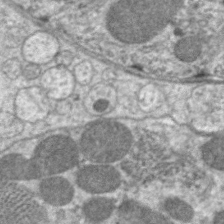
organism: C. elegans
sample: Pharynx